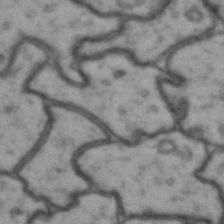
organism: Drosophila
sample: Brain